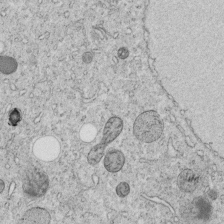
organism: C. elegans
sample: C. elegans embryo early stage